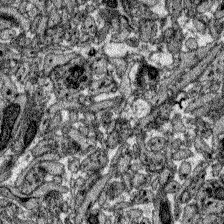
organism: Zebrafish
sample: Larval olfactory bulb